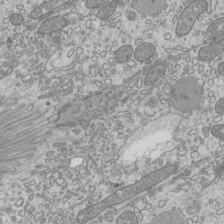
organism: Mouse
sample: Cilia; mouse epididymis